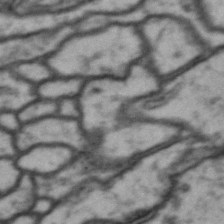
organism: Drosophila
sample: Brain